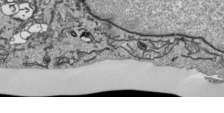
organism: Human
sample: Mitochondria in HCT116 cells